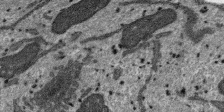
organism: Human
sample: Lung epithelial cells, uninfected (mock) control